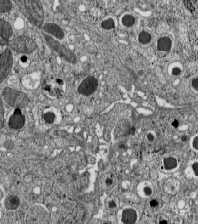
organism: C57BL Mouse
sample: Pancreatic islet